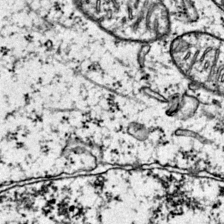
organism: Mouse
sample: Primary visual cortex